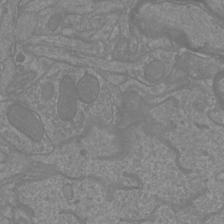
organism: Mouse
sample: Cortical neurons